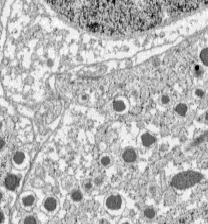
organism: C57BL Mouse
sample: Pancreatic islet